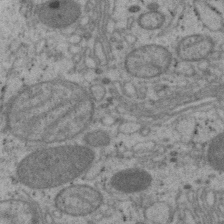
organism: Human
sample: HeLa cells